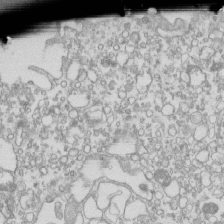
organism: Mouse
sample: Macrophages